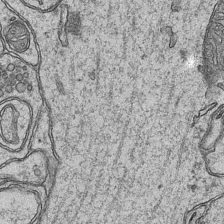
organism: Mouse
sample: CA1 Hippocampus